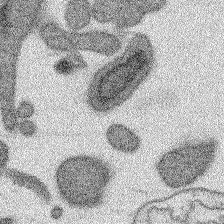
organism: Human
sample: HeLa cells